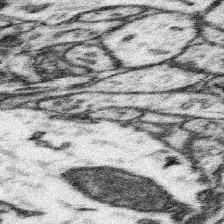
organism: Mouse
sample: Somatosensory cortex neuropil